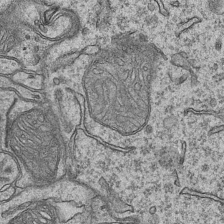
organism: Mouse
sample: CA1 Hippocampus